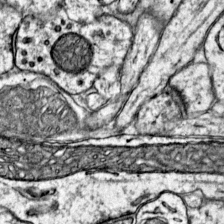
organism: Mouse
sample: Primary visual cortex